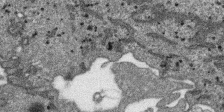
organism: Human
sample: Lung epithelial cells infected with SARS-CoV-2